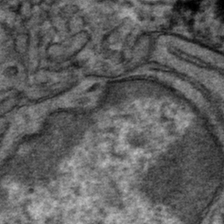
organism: Mouse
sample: Mouse hepatocytes